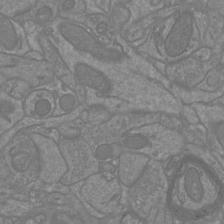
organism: Mouse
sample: Cortical neurons